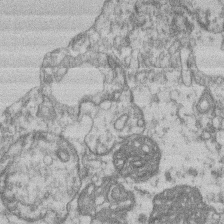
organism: Mouse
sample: T cell stromal cell synapse